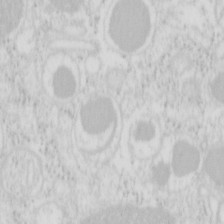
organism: Mouse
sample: Pancreas